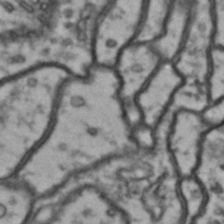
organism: Drosophila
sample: Brain